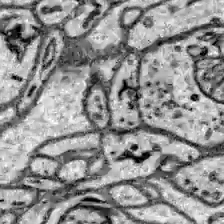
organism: Zebrafish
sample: Brain